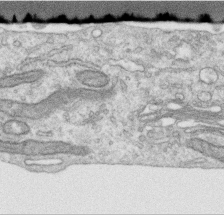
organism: Human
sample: Centriole in RPE cells